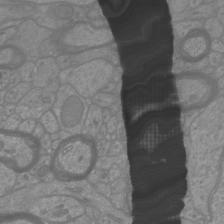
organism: Mouse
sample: Cortical neurons